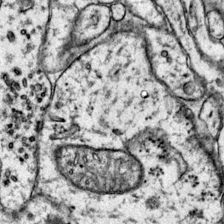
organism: Mouse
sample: Primary visual cortex